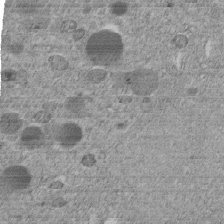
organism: C. elegans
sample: C. elegans embryo early stage